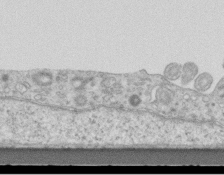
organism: Mouse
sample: Centriole in ependymal cells